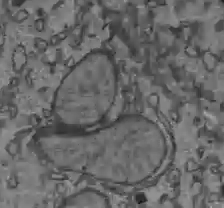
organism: C57BL Mouse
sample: Liver